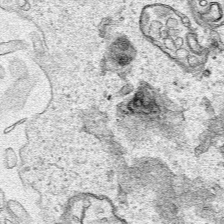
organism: Human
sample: Mitochondria in HCT116 cells